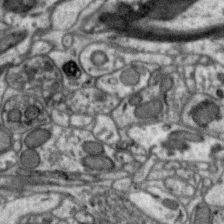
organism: Zebra finch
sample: Brain